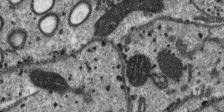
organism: Human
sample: Lung epithelial cells infected with SARS-CoV-2